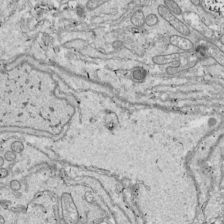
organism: Drosophila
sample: Cell division; meiosis; drosophila spermatocytes